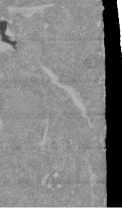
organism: Mouse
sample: ED-1 cell nuclei; centrioles